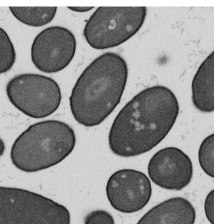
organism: B. subtilis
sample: Bacterial spore